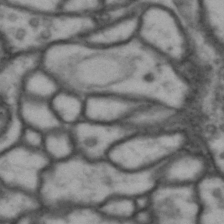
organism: Drosophila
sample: Brain